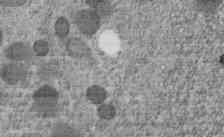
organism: C. elegans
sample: C. elegans embryo early stage